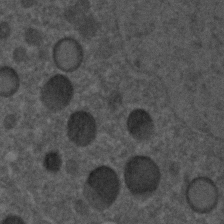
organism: C. elegans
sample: C. elegans embryo